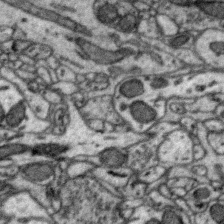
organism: Zebra finch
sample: Brain